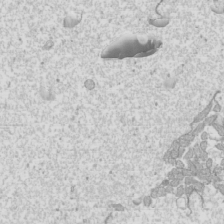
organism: Mouse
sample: Cilia; mouse epididymis